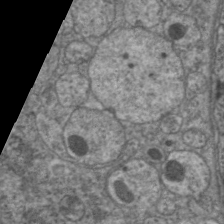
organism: C. elegans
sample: Pharynx